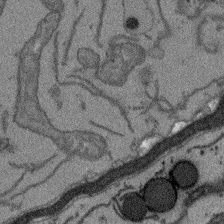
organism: Arabidopsis thaliana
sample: Root tip